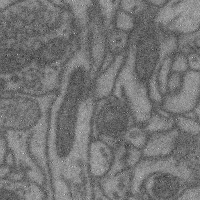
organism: Mouse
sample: Cerebral cortex